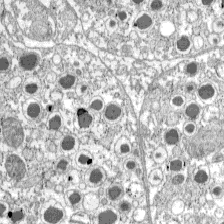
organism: C57BL Mouse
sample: Pancreatic islet